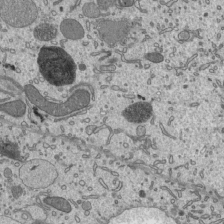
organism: Mouse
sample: Mouse epididymis efferent ductule cilia